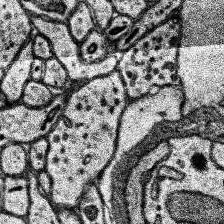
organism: Human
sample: Temporal Lobe